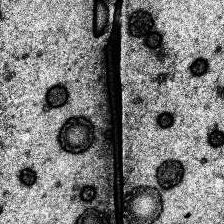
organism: Human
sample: Temporal Lobe